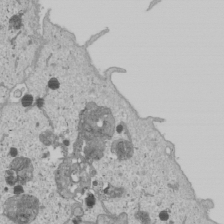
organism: Human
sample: Mitochondria in U2OS cells